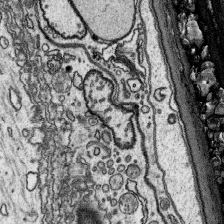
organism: Platynereis dumerilii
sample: Parapodia